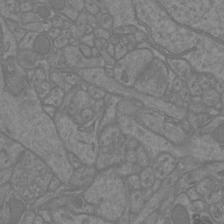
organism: Mouse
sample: Cortical neurons